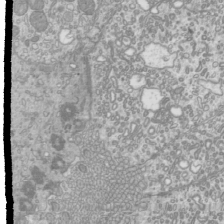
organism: Mouse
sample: Cilia; mouse epididymis